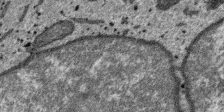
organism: Human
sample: Lung epithelial cells, uninfected (mock) control